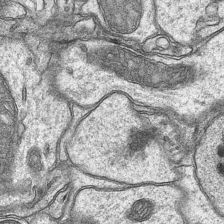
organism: Mouse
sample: CA1 Hippocampus